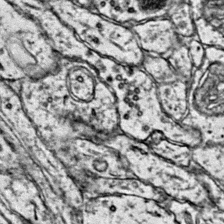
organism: Mouse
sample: Primary visual cortex